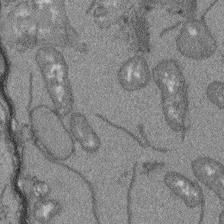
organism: Arabidopsis thaliana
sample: Root tip